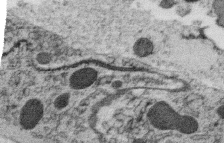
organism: C. elegans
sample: C. elegans oocyte; sperm cells